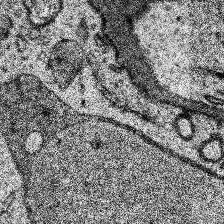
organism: Human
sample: Temporal Lobe